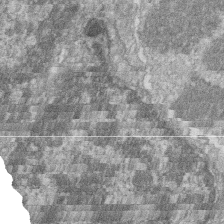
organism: Zebrafish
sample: Cilia; retinal pigment epithelium